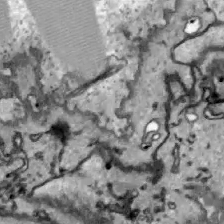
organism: Zebrafish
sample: Actinotrichia fibers